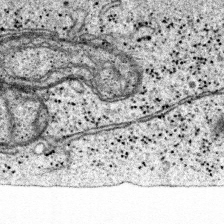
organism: Human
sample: HeLa cells